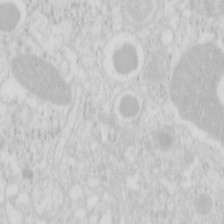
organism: Mouse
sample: Pancreas